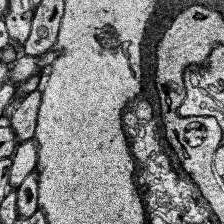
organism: Human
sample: Temporal Lobe